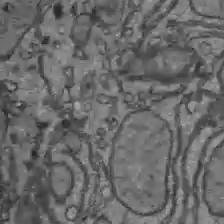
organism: C57BL Mouse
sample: Liver